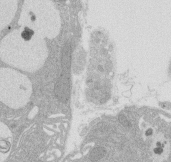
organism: Rat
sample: Salivary granule